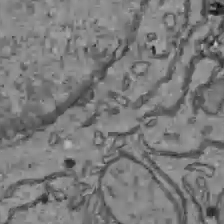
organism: C57BL Mouse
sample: Liver